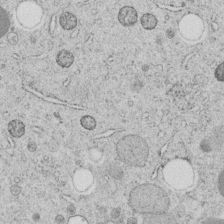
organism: C. elegans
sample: C. elegans embryo early stage